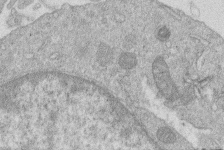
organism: Human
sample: Macrophage cells